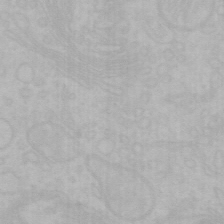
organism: Mouse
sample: Choroid plexus